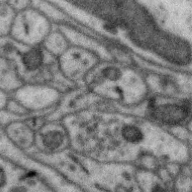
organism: Zebra finch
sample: Brain